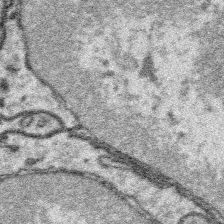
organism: Platynereis dumerilii